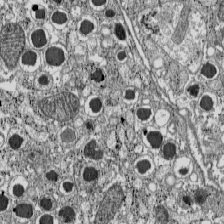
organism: C57BL Mouse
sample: Pancreatic islet